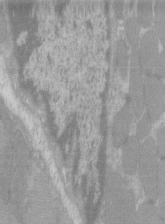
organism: C57BL Mouse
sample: Tibialis anterior muscle cell